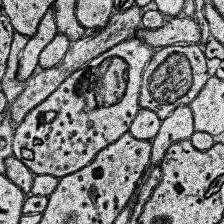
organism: Human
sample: Temporal Lobe